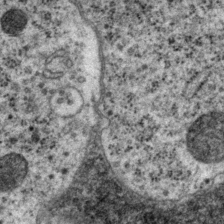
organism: P. pacificus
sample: Pharynx